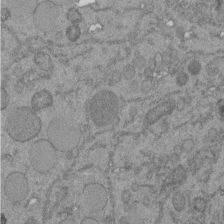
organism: C. elegans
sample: C. elegans embryo early stage